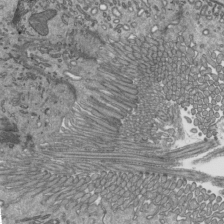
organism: Mouse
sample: Mouse epididymis efferent ductule cilia